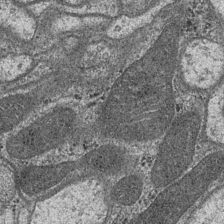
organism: Drosophila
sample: Optic medulla